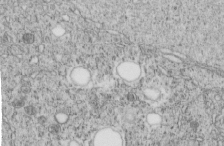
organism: C. elegans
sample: C. elegans embryo early stage